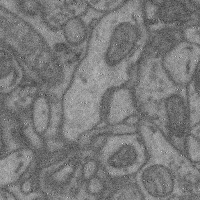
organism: Mouse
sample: Cerebral cortex